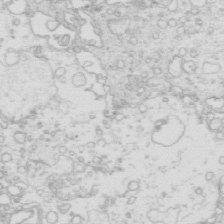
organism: Mouse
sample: Multiciliated cells